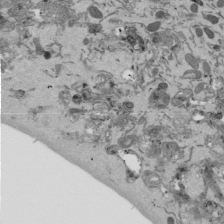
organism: Mouse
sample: ED-1 cell nuclei; centrioles